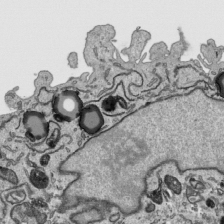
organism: Human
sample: Mitochondria in HCT116 cells